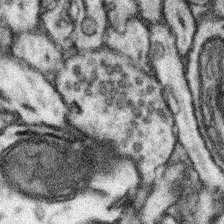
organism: Mouse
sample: Somatosensory cortex neuropil